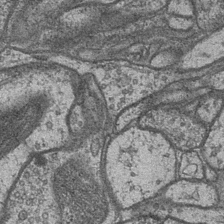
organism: Drosophila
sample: Optic medulla